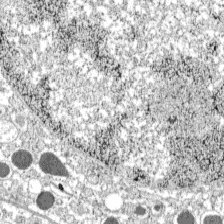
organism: C57BL Mouse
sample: Pancreatic islet